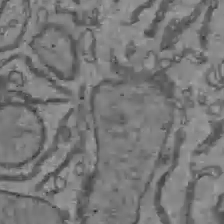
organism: C57BL Mouse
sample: Liver